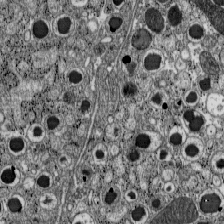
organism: C57BL Mouse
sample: Pancreatic islet